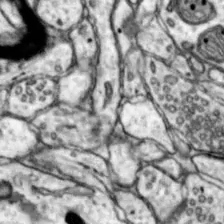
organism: Mouse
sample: Nucleus accumbens